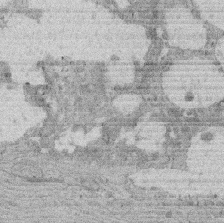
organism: Rat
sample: Salivary granule